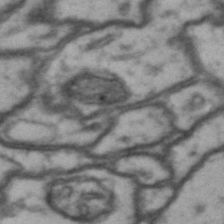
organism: Drosophila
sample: Brain